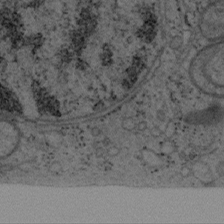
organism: Human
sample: HeLa cells